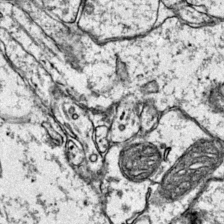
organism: Mouse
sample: Primary visual cortex